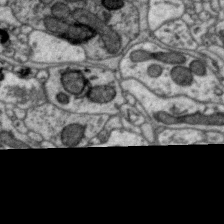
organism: Zebra finch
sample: Brain